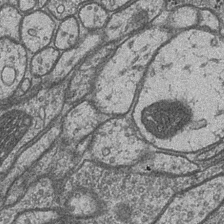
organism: Drosophila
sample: Optic medulla